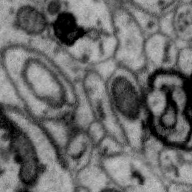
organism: Zebra finch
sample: Brain